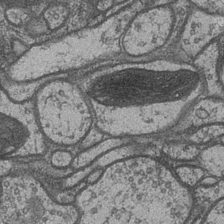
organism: Drosophila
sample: Optic medulla